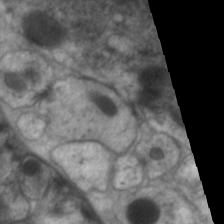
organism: C. elegans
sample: Pharynx